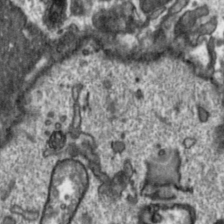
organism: Toxoplasma gondii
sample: Parasites in a vacuole inside a host cell